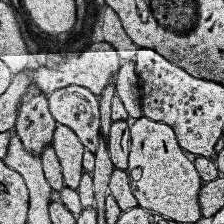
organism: Human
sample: Temporal Lobe